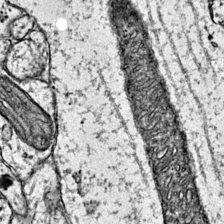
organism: Mouse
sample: Primary visual cortex